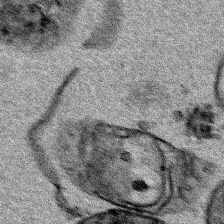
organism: Human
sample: Mitochondria in HCT116 cells